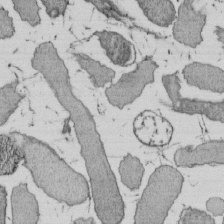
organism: E. coli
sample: Bacterial nucleoid